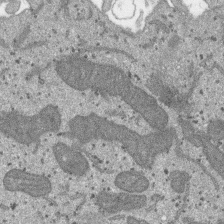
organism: Human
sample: Lung epithelial cells infected with SARS-CoV-2